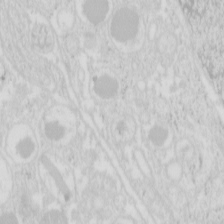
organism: Mouse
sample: Pancreas